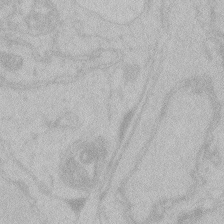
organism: Zebrafish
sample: Macrophage infected with Toxoplasma gondii